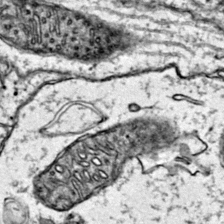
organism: Mouse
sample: Primary visual cortex